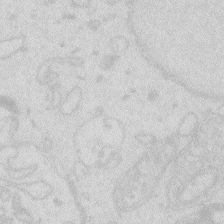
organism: Zebrafish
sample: Macrophage